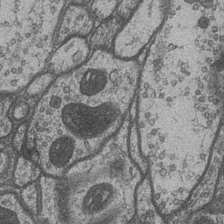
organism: Drosophila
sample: Optic medulla